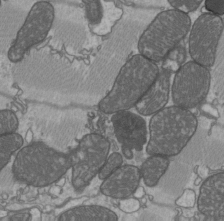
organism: C57BL Mouse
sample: Heart